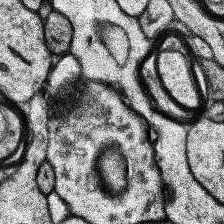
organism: Human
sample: Temporal Lobe